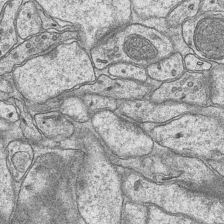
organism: Mouse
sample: CA1 Hippocampus